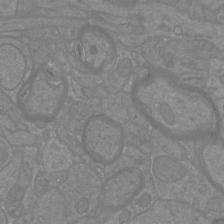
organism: Mouse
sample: Cortical neurons